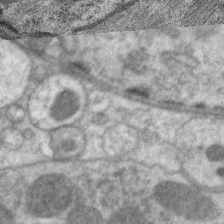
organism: C. elegans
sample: Pharynx